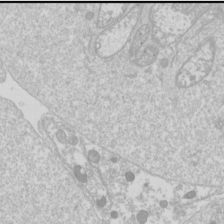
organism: Drosophila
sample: Cell division; meiosis; drosophila spermatocytes